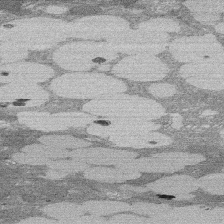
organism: Rat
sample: Salivary granule